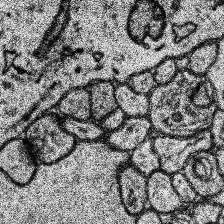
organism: Human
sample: Temporal Lobe